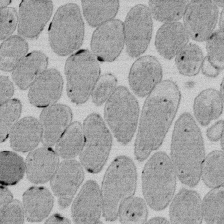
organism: E. coli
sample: Bacterial nucleoid